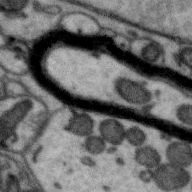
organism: Zebra finch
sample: Brain